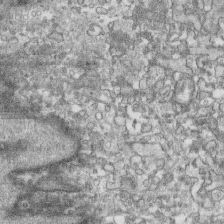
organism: Human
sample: CRL-1474